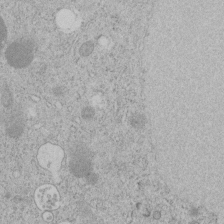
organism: C. elegans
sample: C. elegans embryo early stage